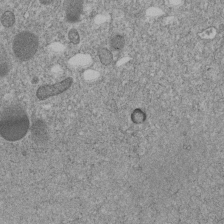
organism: C. elegans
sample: C. elegans embryo early stage